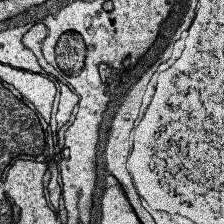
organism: Human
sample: Temporal Lobe